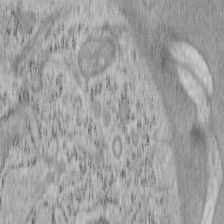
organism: Human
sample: HeLa cells